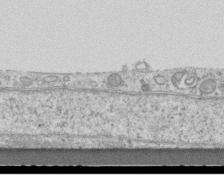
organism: Mouse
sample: Centriole in ependymal cells